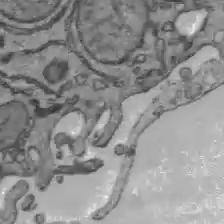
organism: C57BL Mouse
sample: Liver